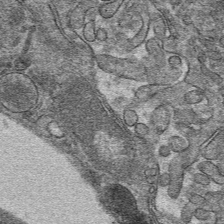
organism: Mouse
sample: Mouse hepatocytes